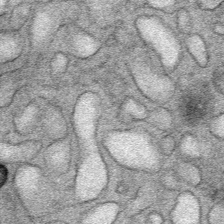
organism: Mouse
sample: Mouse Salivary gland